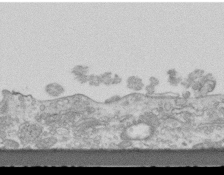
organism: Mouse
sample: Centriole in ependymal cells